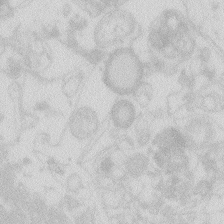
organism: Zebrafish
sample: Macrophage